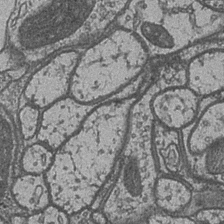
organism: Drosophila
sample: Optic medulla